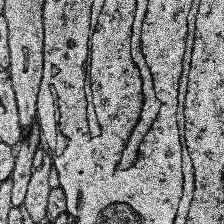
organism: Human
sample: Temporal Lobe